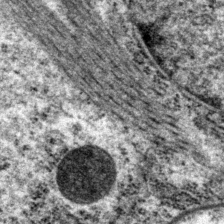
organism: P. pacificus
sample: Pharynx